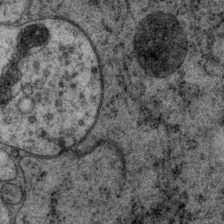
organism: P. pacificus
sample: Pharynx